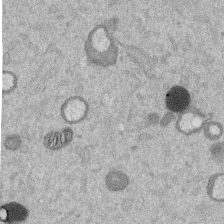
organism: Mouse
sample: Dividing mouse embryo 1 cell stage